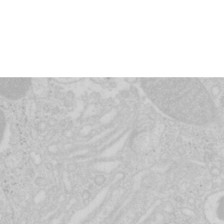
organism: Mouse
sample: Pancreas